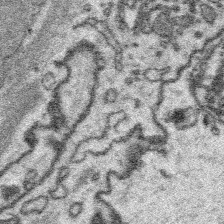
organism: Platynereis dumerilii